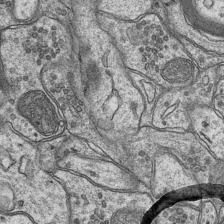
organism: Mouse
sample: CA1 Hippocampus